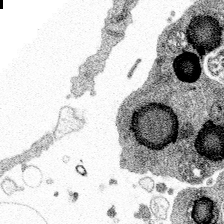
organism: Spongilla lacustris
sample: Multiple